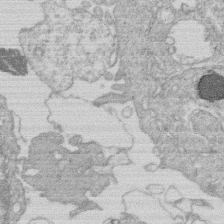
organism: Human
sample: Macrophage cells